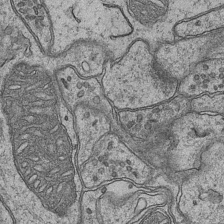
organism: Mouse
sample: CA1 Hippocampus